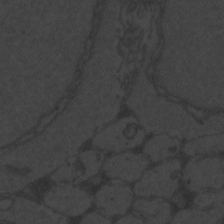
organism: Zebrafish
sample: Macrophage infected with Toxoplasma gondii